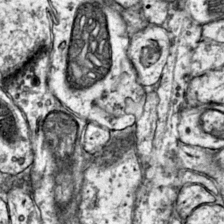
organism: Mouse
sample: Primary visual cortex